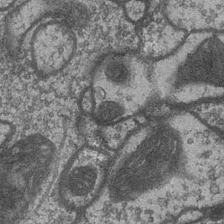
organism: Drosophila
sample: Optic medulla